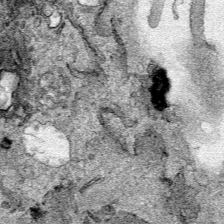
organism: Human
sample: Mitochondria in HCT116 cells